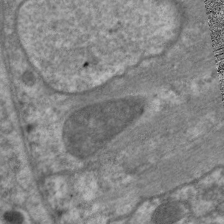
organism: C. elegans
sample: Pharynx